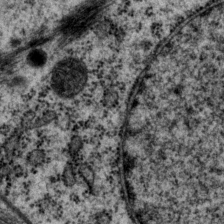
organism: P. pacificus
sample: Pharynx